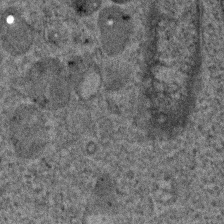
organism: Human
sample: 1205lu cells